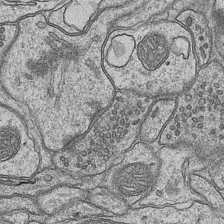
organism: Mouse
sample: CA1 Hippocampus